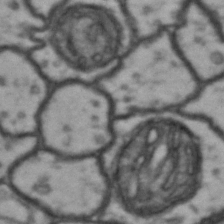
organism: Drosophila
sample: Brain